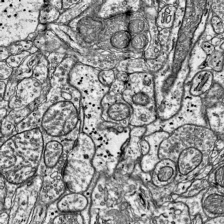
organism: Mouse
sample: Visual Cortex